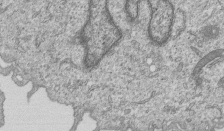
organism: Human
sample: MDA-MB-231 cells